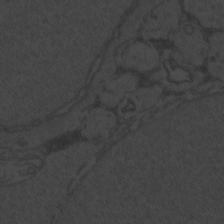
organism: Zebrafish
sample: Macrophage infected with Toxoplasma gondii